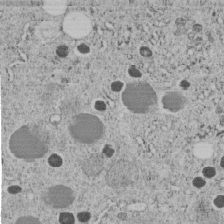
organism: C. elegans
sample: C. elegans embryo early stage